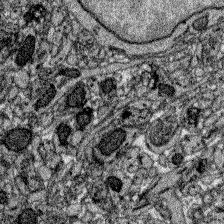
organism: Zebrafish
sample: Larval olfactory bulb